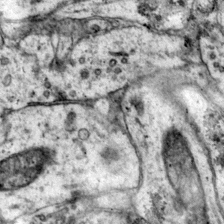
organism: Mouse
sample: Primary visual cortex